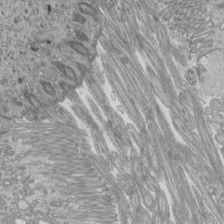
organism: Mouse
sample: Cilia; mouse epididymis